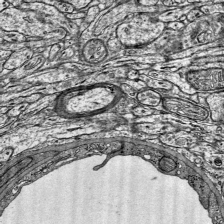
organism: Mouse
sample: Visual Cortex